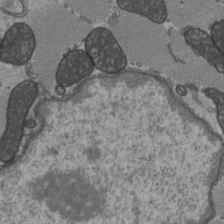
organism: C57BL Mouse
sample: Heart